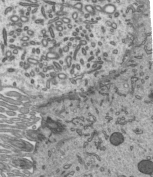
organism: Mouse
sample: Mouse epididymis efferent ductule cilia